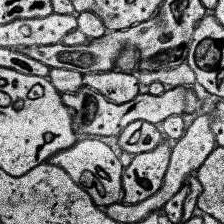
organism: Human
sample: Temporal Lobe